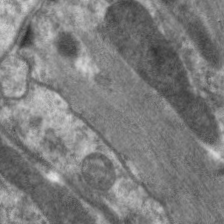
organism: C. elegans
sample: Pharynx